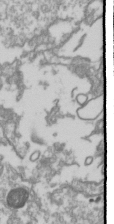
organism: Drosophila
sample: Cell division; meiosis; drosophila spermatocytes